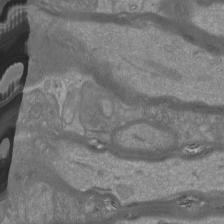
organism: Mouse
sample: Cortical neurons